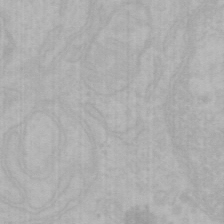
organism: Mouse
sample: Choroid plexus